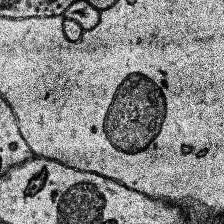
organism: Human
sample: Temporal Lobe